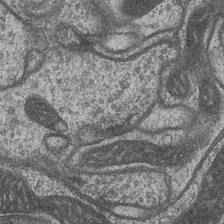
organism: Drosophila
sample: Optic medulla